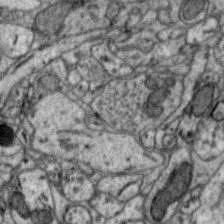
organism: Zebra finch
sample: Brain